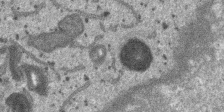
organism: Human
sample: Lung epithelial cells infected with SARS-CoV-2